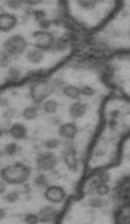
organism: Drosophila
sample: Brain